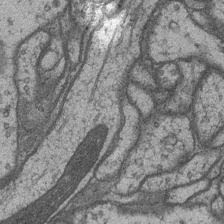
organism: Drosophila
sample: Optic medulla